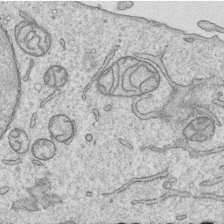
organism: Human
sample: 1205lu cells